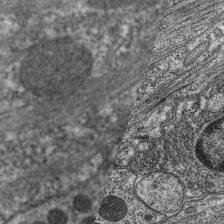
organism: C. elegans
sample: Pharynx